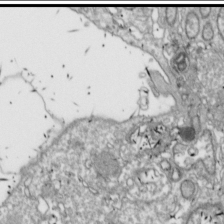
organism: Drosophila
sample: Cell division; meiosis; drosophila spermatocytes